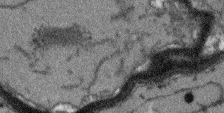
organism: Arabidopsis thaliana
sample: Root tip